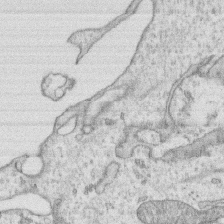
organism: Human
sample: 1205lu cells